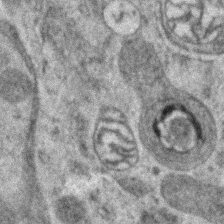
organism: Zebrafish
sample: Zebrafish embryo